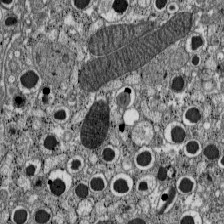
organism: C57BL Mouse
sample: Pancreatic islet